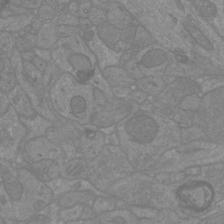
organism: Mouse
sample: Cortical neurons